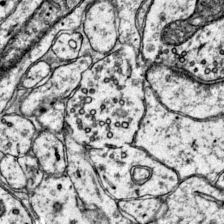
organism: Mouse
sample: Primary visual cortex